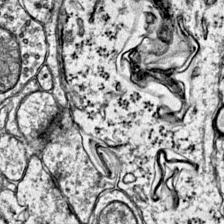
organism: Mouse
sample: Primary visual cortex